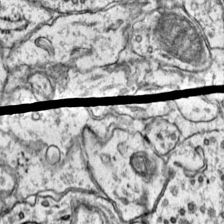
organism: Mouse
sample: Primary visual cortex